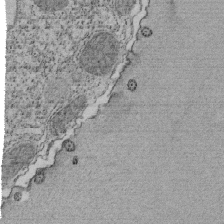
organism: Tetrahymena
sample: Cilia in tetrahymena